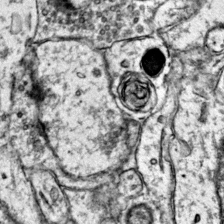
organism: Mouse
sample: Primary visual cortex